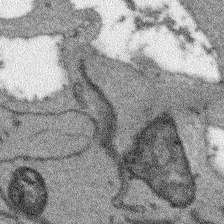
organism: Arabidopsis thaliana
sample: Root tip